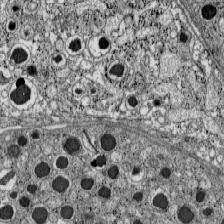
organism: C57BL Mouse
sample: Pancreatic islet